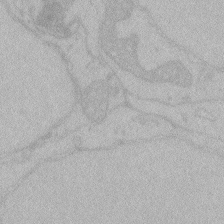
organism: Zebrafish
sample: Macrophage infected with Toxoplasma gondii